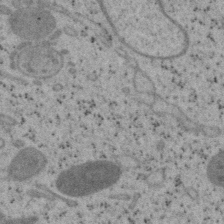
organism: Human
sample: HeLa cells